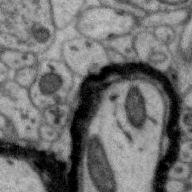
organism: Zebra finch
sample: Brain